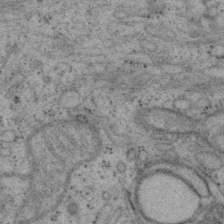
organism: Human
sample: HeLa cells